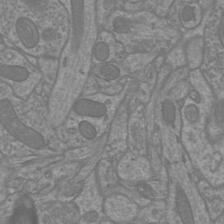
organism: Mouse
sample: Cortical neurons